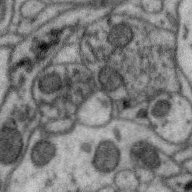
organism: Zebra finch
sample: Brain